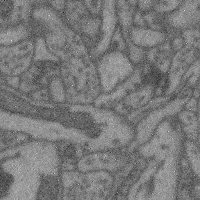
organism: Mouse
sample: Cerebral cortex